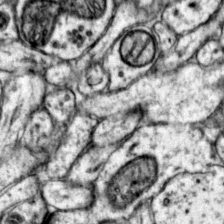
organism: Mouse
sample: Primary visual cortex